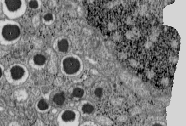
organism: C57BL Mouse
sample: Pancreatic islet